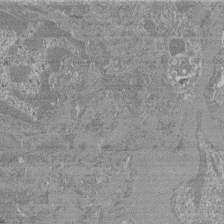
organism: Mouse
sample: Glomerulus